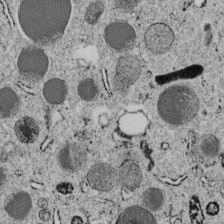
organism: C. elegans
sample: C. elegans embryo early stage